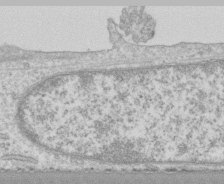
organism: Human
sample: CRL-1474